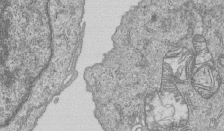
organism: Human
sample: MDA-MB-231 cells